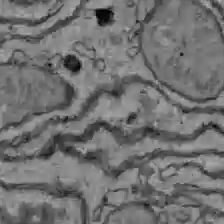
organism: C57BL Mouse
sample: Liver